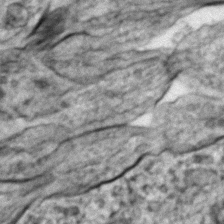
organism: Zebrafish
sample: Zebrafish embryo